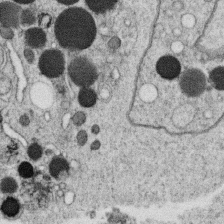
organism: C. elegans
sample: C. elegans oocyte; sperm cells